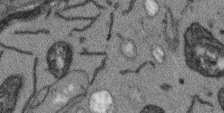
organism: Arabidopsis thaliana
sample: Root tip